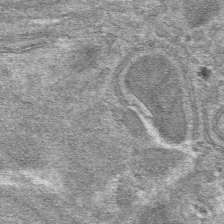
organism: Mouse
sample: Mouse hepatocytes